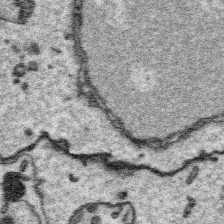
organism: Platynereis dumerilii